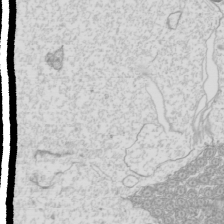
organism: Mouse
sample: Cilia; mouse epididymis